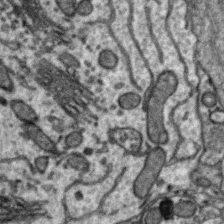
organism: Zebra finch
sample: Brain